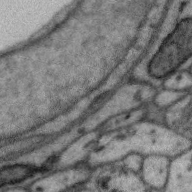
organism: Zebra finch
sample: Brain